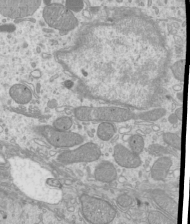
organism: Mouse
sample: Cilia; mouse epididymis